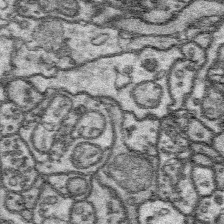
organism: Platynereis dumerilii